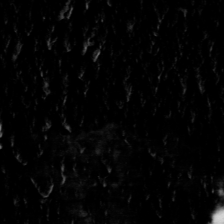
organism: Toxoplasma gondii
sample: Parasites in a vacuole inside a host cell